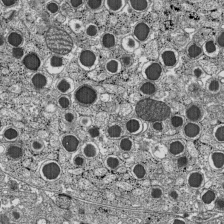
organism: C57BL Mouse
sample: Pancreatic islet